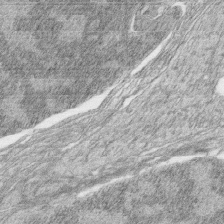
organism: Zebrafish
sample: synaptic ribbons in rod cells and cone cells